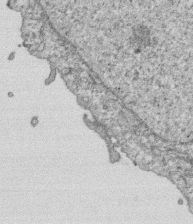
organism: Human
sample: HeLa cell HIV synapse